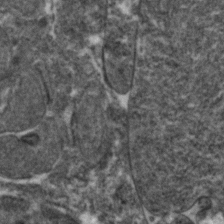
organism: Zebrafish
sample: Zebrafish embryo